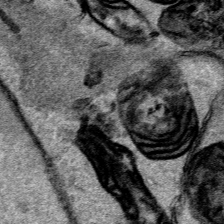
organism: Human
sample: Mitochondria in HCT116 cells